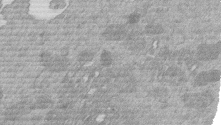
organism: Mouse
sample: Dividing mouse embryo 1 cell stage